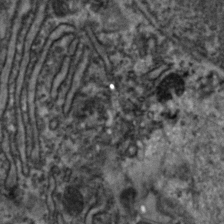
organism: Zebrafish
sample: Zebrafish embryo